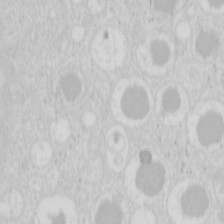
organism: Mouse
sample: Pancreas